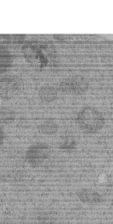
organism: C. elegans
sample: C. elegans embryo early stage